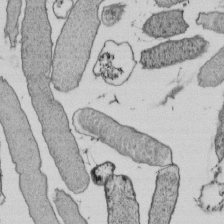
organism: E. coli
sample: Bacterial nucleoid